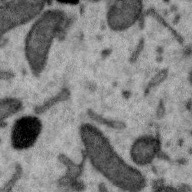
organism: Zebra finch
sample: Brain